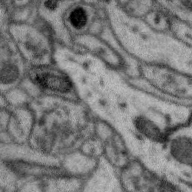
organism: Zebra finch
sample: Brain